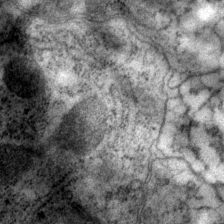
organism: P. pacificus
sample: Pharynx